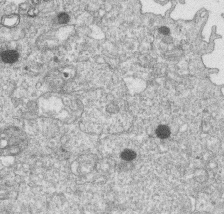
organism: Human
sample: HeLa cell HIV synapse